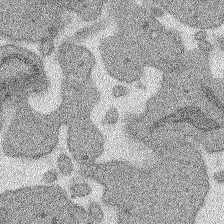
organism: Human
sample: HeLa cells